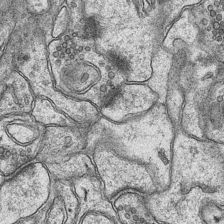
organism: Mouse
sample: CA1 Hippocampus